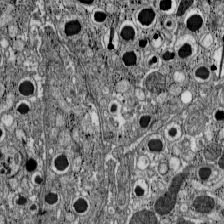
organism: C57BL Mouse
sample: Pancreatic islet